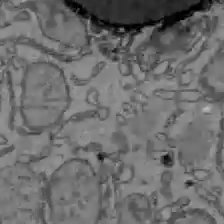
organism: C57BL Mouse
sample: Liver